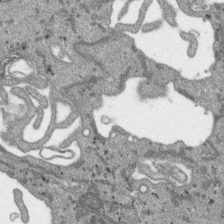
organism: Human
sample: Lung epithelial cells infected with SARS-CoV-2